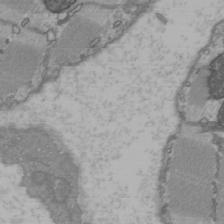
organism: C57BL Mouse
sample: Heart